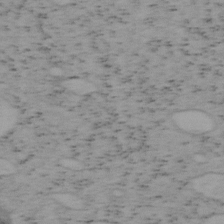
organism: Mouse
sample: OT-I killer T cells with ID8 ovarian cancer cells